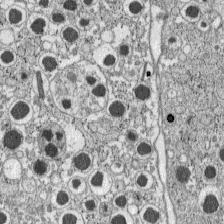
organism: C57BL Mouse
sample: Pancreatic islet